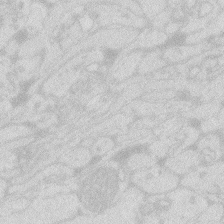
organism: Zebrafish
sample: Macrophage